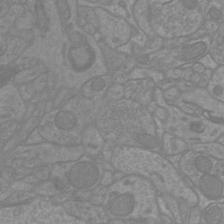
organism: Mouse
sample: Cortical neurons